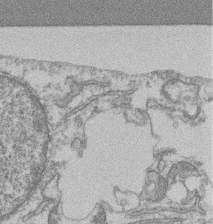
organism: Mouse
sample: T cell stromal cell synapse